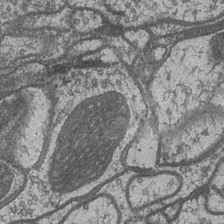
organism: Drosophila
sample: Optic medulla